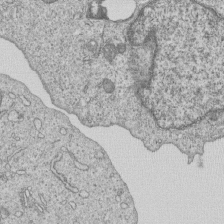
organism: Human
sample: MDA-MB-231 cells